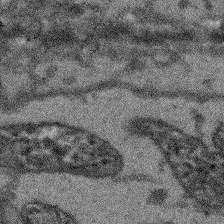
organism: Arabidopsis thaliana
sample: Root tip